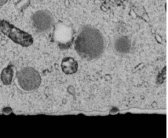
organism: C. elegans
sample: C. elegans embryo early stage